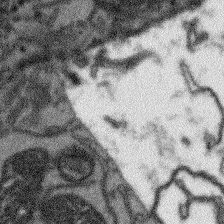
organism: Arabidopsis thaliana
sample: Root tip